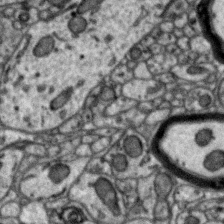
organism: Zebra finch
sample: Brain